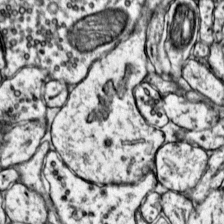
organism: Mouse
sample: Primary visual cortex